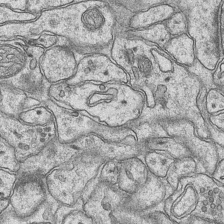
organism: Mouse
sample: CA1 Hippocampus